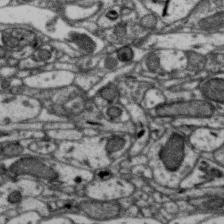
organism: Zebra finch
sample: Brain